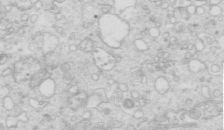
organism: Mouse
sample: Multiciliated cells